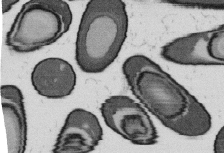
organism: B. subtilis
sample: Bacterial spore